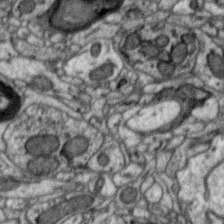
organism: Zebra finch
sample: Brain